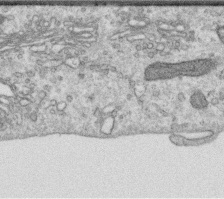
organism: Human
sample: Centriole in RPE cells